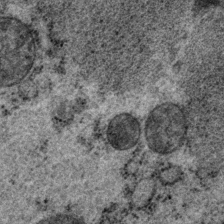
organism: P. pacificus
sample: Pharynx